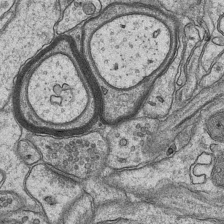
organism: Mouse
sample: CA1 Hippocampus